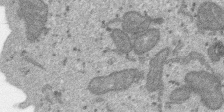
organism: Human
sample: Lung epithelial cells infected with SARS-CoV-2